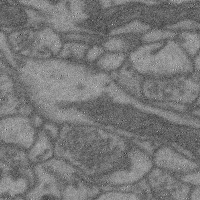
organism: Mouse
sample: Cerebral cortex